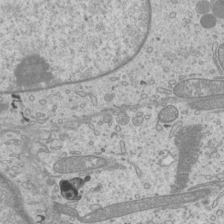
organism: Mouse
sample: Cilia; mouse epididymis